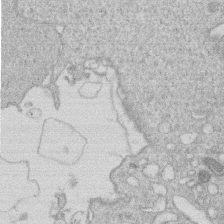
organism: Human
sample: Macrophage cells